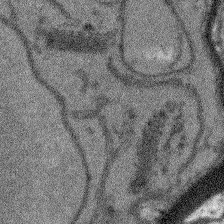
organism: Arabidopsis thaliana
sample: Root tip